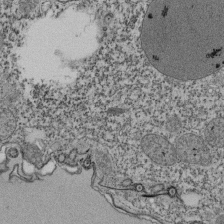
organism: Tetrahymena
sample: Cilia in tetrahymena